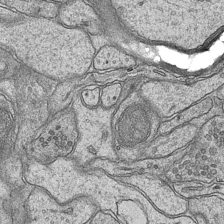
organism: Mouse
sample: CA1 Hippocampus